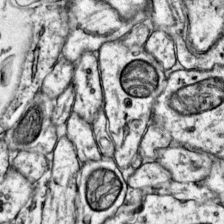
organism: Mouse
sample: Primary visual cortex